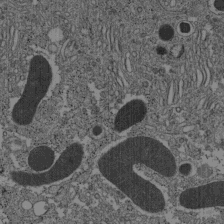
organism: C57BL Mouse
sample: Pancreatic islet